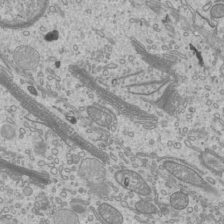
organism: Mouse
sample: Cilia; mouse epididymis